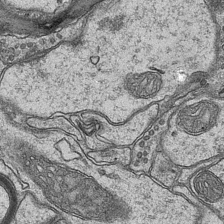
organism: Mouse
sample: CA1 Hippocampus